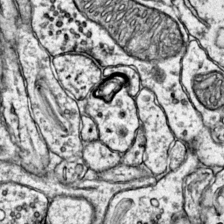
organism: Mouse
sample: Primary visual cortex